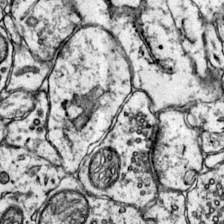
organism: Mouse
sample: Primary visual cortex